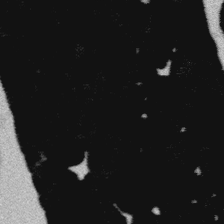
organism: Platynereis dumerilii